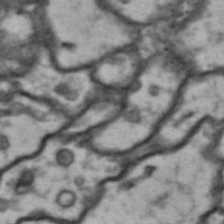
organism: Drosophila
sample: Brain